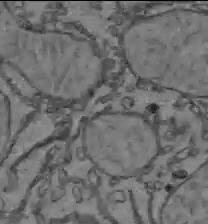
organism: C57BL Mouse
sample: Liver